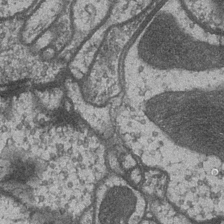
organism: Drosophila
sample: Optic medulla